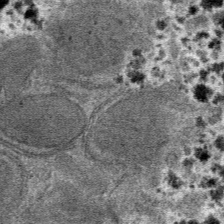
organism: Mouse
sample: Mouse hepatocytes